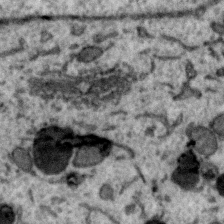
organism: Zebra finch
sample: Brain